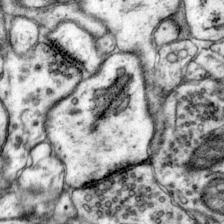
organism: Mouse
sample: Primary visual cortex